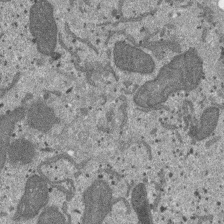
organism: Human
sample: Lung epithelial cells infected with SARS-CoV-2